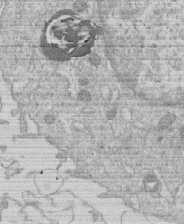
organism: Human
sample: Macrophage cells